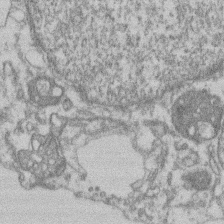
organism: Mouse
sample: T cell stromal cell synapse